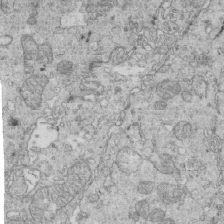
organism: Mouse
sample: Multiciliated cells